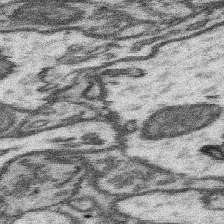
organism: Mouse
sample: Somatosensory cortex neuropil